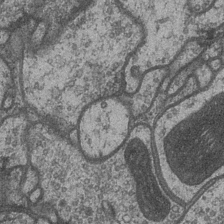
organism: Drosophila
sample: Optic medulla